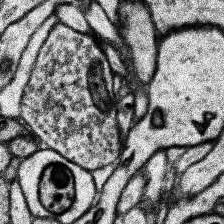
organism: Human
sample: Temporal Lobe